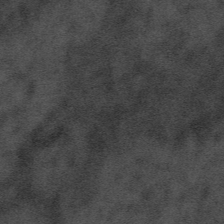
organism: Tuwongella immobilis